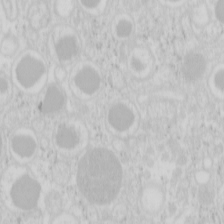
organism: Mouse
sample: Pancreas